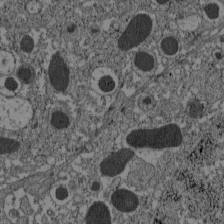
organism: C57BL Mouse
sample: Pancreatic islet